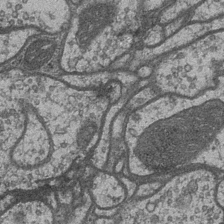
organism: Drosophila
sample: Optic medulla